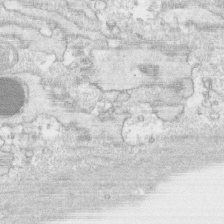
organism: Human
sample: CRL-1474